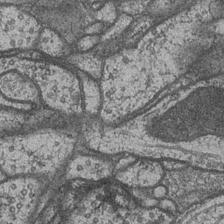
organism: Drosophila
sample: Optic medulla